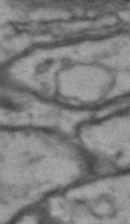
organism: Drosophila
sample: Brain